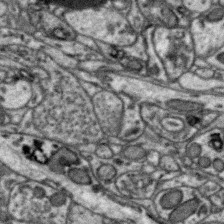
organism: Zebra finch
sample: Brain